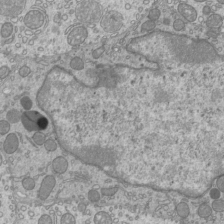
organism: Mouse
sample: Cilia; mouse epididymis